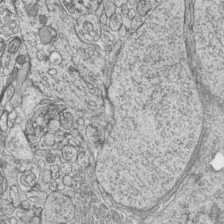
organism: Zebrafish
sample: synaptic ribbons in rod cells and cone cells